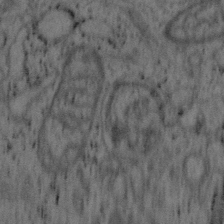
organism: Human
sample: HeLa cells